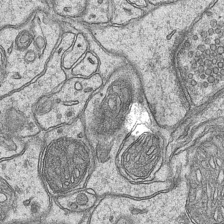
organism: Mouse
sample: CA1 Hippocampus